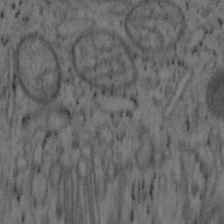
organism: Human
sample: HeLa cells